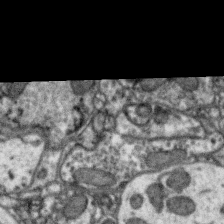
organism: Zebra finch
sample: Brain